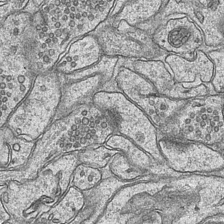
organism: Mouse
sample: CA1 Hippocampus